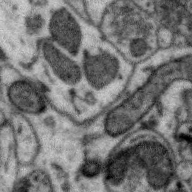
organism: Zebra finch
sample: Brain